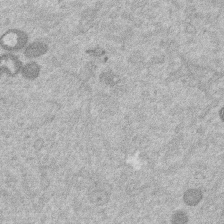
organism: Mouse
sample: Dividing mouse embryo 1 cell stage